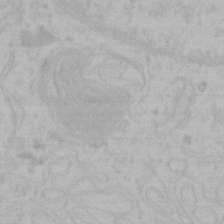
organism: Mouse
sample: Choroid plexus